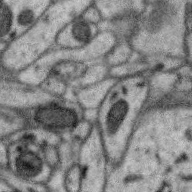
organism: Zebra finch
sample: Brain